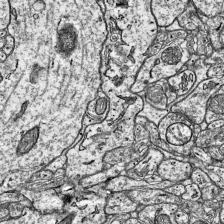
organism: Mouse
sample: Visual Cortex